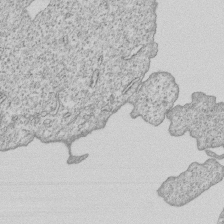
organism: Human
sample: MDA-MB-231 cells